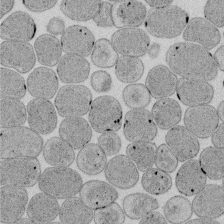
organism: E. coli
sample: Bacterial nucleoid